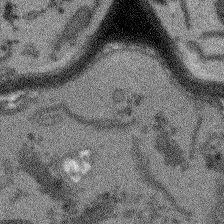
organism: Arabidopsis thaliana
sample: Root tip